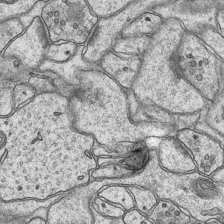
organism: Mouse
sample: CA1 Hippocampus